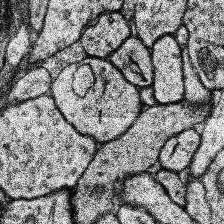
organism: Human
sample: Temporal Lobe